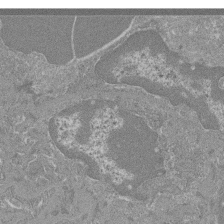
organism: Mouse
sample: Glomerulus